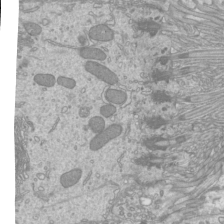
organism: Mouse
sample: Cilia; mouse epididymis